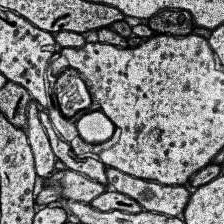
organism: Human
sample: Temporal Lobe